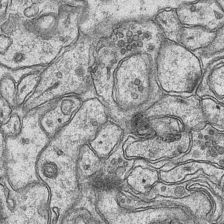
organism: Mouse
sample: CA1 Hippocampus